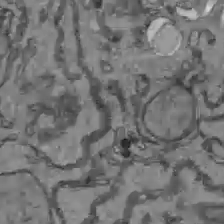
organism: C57BL Mouse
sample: Liver